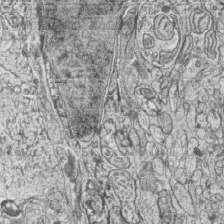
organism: Zebrafish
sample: synaptic ribbons in rod cells and cone cells